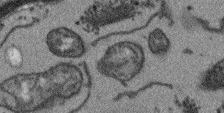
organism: Arabidopsis thaliana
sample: Root tip